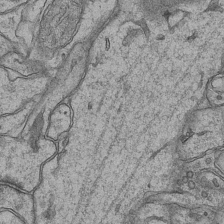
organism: Mouse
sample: CA1 Hippocampus